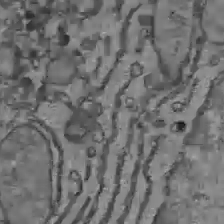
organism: C57BL Mouse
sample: Liver